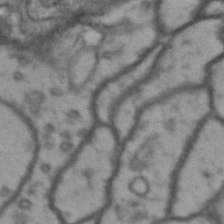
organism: Drosophila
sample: Brain